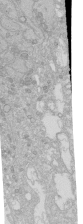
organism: Human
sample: Caco-2 cells